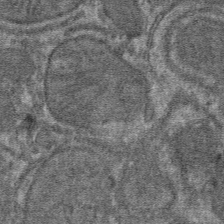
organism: Mouse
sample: Mouse hepatocytes